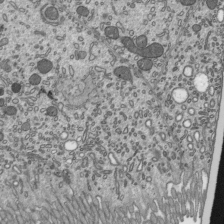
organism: Mouse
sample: Mouse epididymis efferent ductule cilia